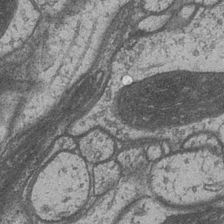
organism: Drosophila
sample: Optic medulla